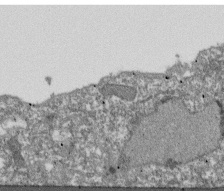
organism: Dictyostelium discoideum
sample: Dictyostelium multivesicular bodies